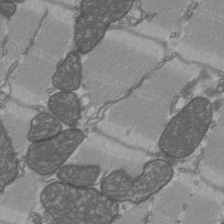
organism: C57BL Mouse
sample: Heart